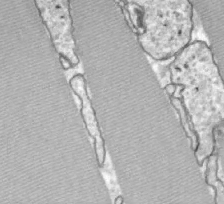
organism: Zebrafish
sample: Actinotrichia fibers